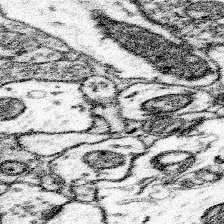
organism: Mouse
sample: Somatosensory cortex neuropil